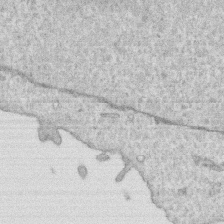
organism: Human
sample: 1205lu cells